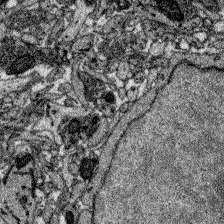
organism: Zebrafish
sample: Larval olfactory bulb